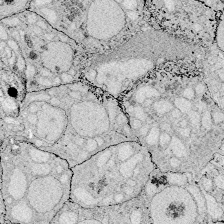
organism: Zebrafish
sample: Whole-Brain